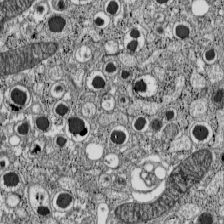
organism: C57BL Mouse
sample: Pancreatic islet